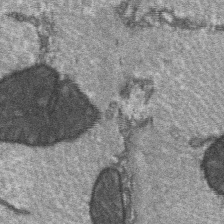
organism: C57BL Mouse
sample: Soleus